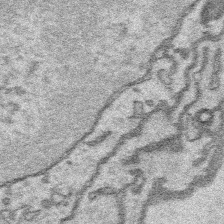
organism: Platynereis dumerilii